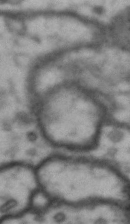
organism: Drosophila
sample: Brain